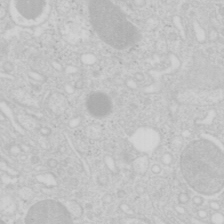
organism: Mouse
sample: Pancreas